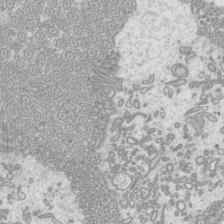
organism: Mouse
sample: Cilia; mouse epididymis